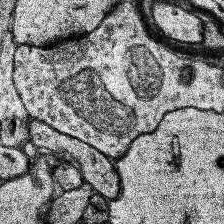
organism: Human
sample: Temporal Lobe